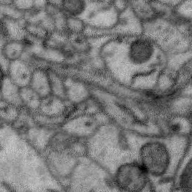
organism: Zebra finch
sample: Brain